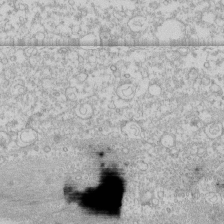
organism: Human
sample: CRL-1474